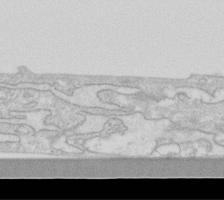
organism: Human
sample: Fibroblast cells